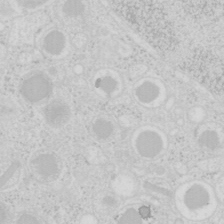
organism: Mouse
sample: Pancreas